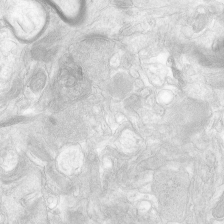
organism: Human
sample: Neocortex